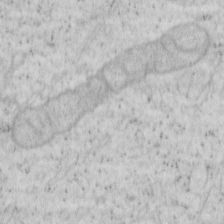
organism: Human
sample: HeLa cells